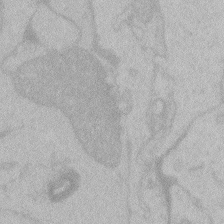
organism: Zebrafish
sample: Macrophage infected with Toxoplasma gondii